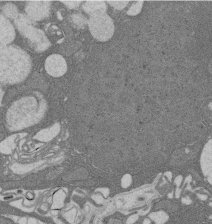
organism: Rat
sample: Salivary granule